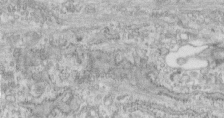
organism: Human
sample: Centriole in fibroblast cells